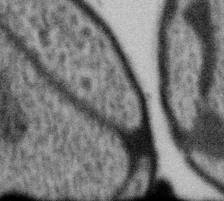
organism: Gemmata obscuriglobus